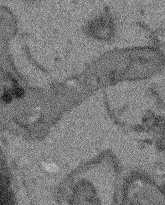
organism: Arabidopsis thaliana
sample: Root tip